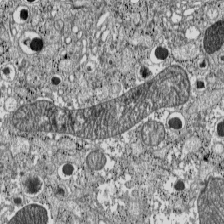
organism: C57BL Mouse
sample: Pancreatic islet